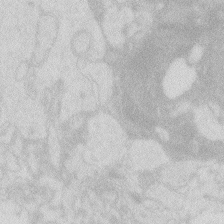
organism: Zebrafish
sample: Macrophage